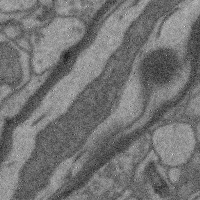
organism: Mouse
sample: Cerebral cortex